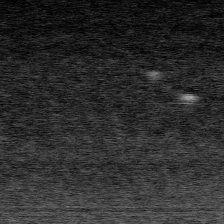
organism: Human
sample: HeLa cells